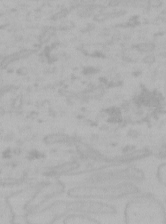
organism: Mouse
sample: Choroid plexus